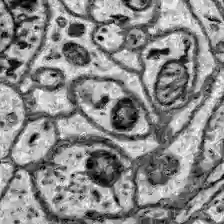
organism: Zebrafish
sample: Brain